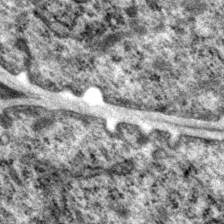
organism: P. pacificus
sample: Pharynx